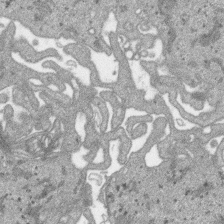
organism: Human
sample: Lung epithelial cells infected with SARS-CoV-2